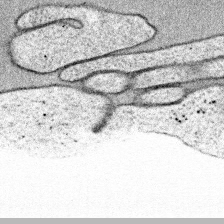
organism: Human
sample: HeLa cells